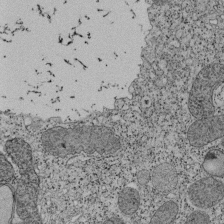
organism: Tetrahymena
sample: Cilia in tetrahymena